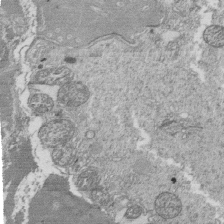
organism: Tetrahymena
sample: Cilia in tetrahymena